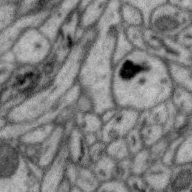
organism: Zebra finch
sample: Brain